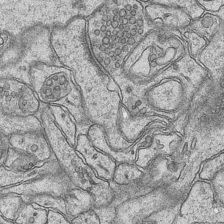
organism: Mouse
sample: CA1 Hippocampus